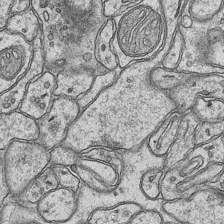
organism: Mouse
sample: CA1 Hippocampus